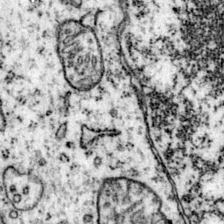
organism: Mouse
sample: Primary visual cortex